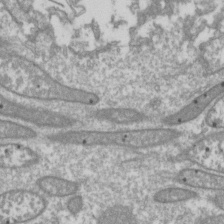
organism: Drosophila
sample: Cell division; meiosis; drosophila spermatocytes